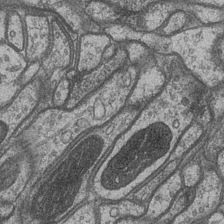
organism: Drosophila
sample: Optic medulla